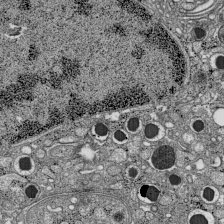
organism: C57BL Mouse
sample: Pancreatic islet